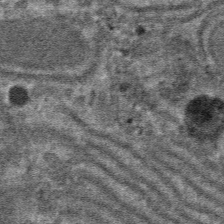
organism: Mouse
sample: Mouse hepatocytes